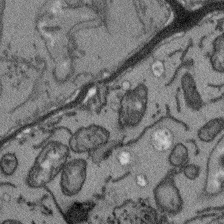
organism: Arabidopsis thaliana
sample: Root tip